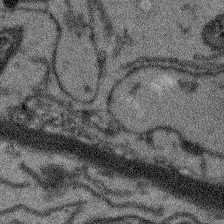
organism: Arabidopsis thaliana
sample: Root tip